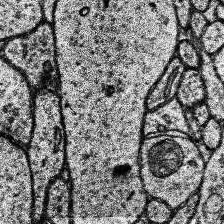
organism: Human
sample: Temporal Lobe